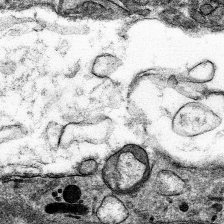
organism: Mouse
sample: Mouse hepatocytes